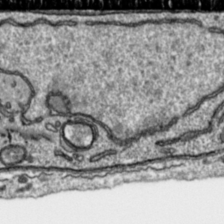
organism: Toxoplasma gondii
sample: Parasites in a vacuole inside a host cell